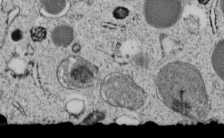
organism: C. elegans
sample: C. elegans embryo early stage